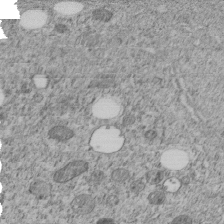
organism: C. elegans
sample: C. elegans embryo early stage